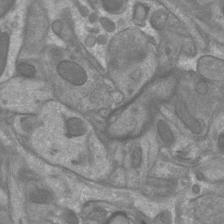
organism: Mouse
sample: Cortical neurons